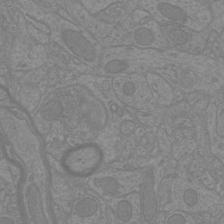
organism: Mouse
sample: Cortical neurons